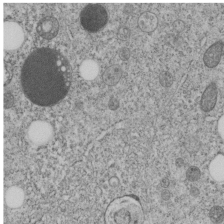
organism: C. elegans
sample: C. elegans embryo early stage